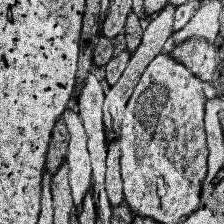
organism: Human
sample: Temporal Lobe